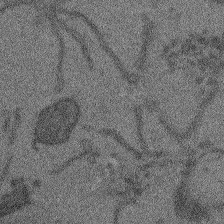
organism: Arabidopsis thaliana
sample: Root tip